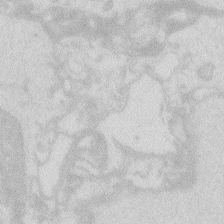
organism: Zebrafish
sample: Macrophage